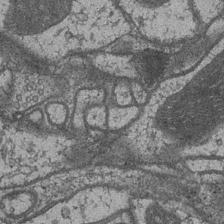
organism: Drosophila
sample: Optic medulla